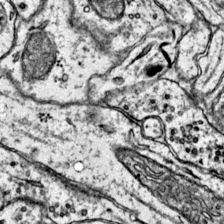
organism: Mouse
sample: Primary visual cortex